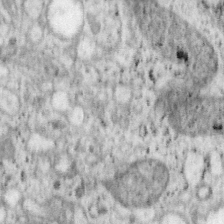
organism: Mouse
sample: OT-I killer T cells with ID8 ovarian cancer cells